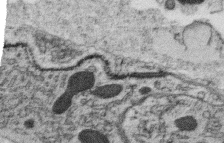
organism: C. elegans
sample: C. elegans oocyte; sperm cells